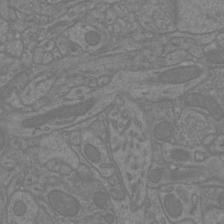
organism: Mouse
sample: Cortical neurons